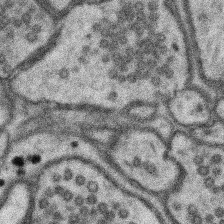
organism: Mouse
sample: Somatosensory cortex neuropil